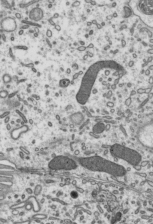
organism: Mouse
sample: Mouse epididymis efferent ductule cilia